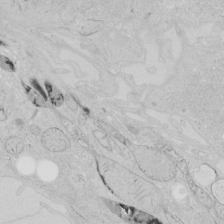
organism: Human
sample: Mitochondria in HCT116 cells